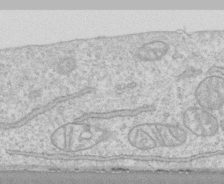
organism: Human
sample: CRL-1474